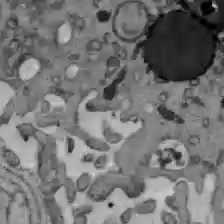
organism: C57BL Mouse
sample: Liver